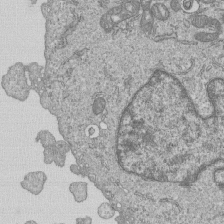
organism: Human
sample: MDA-MB-231 cells